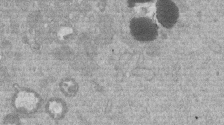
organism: Mouse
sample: Dividing mouse embryo 1 cell stage